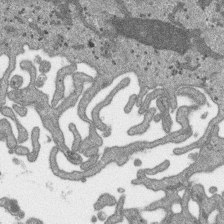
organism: Human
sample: Lung epithelial cells infected with SARS-CoV-2